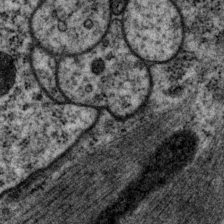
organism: P. pacificus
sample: Pharynx